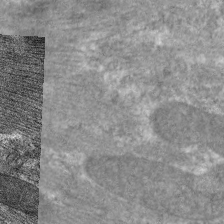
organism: C. elegans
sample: Pharynx